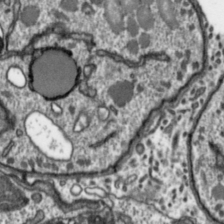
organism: Toxoplasma gondii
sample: Parasites in a vacuole inside a host cell